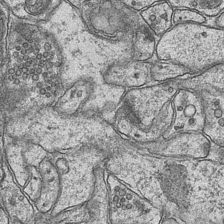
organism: Mouse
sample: CA1 Hippocampus